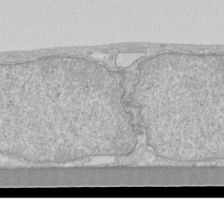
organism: Human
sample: Fibroblast cells